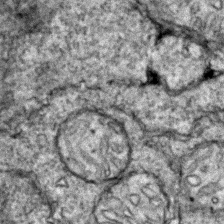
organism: Zebrafish